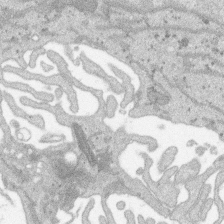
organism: Human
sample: Lung epithelial cells infected with SARS-CoV-2